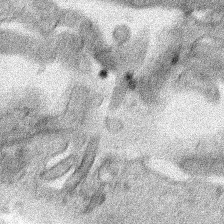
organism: Human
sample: Mitochondria in HCT116 cells